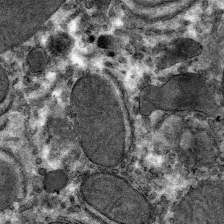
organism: Mouse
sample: Mouse hepatocytes